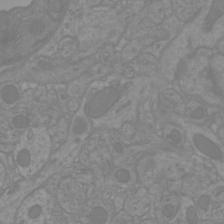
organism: Mouse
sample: Cortical neurons